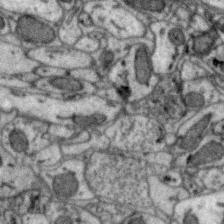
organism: Zebra finch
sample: Brain